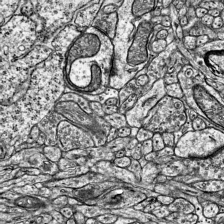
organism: Mouse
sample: Visual Cortex